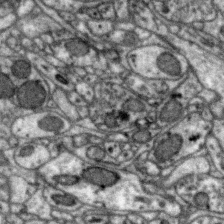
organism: Zebra finch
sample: Brain